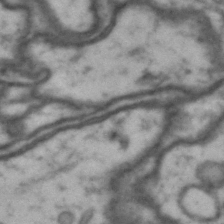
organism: Drosophila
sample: Brain